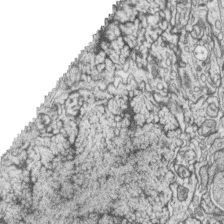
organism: Zebrafish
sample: synaptic ribbons in rod cells and cone cells